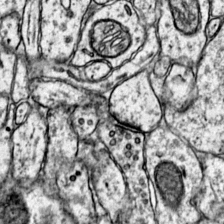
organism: Mouse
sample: Primary visual cortex